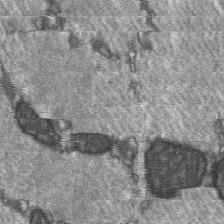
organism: C57BL Mouse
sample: Soleus